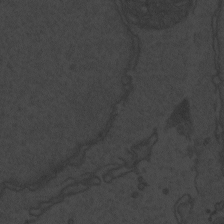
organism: Zebrafish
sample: Macrophage infected with Toxoplasma gondii